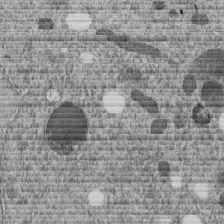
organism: C. elegans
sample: C. elegans embryo early stage